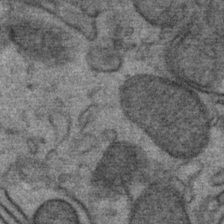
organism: Mouse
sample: Mouse Salivary gland